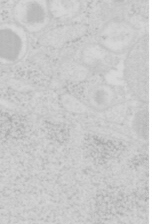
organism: Mouse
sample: Pancreas